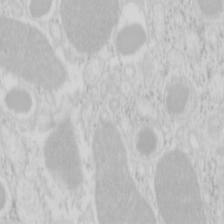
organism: Mouse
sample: Pancreas